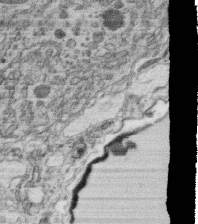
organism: C. elegans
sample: C. elegans oocyte; sperm cells